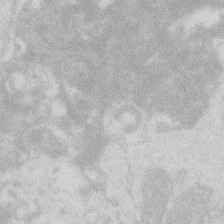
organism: Zebrafish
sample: Macrophage